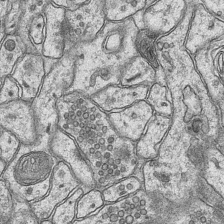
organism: Mouse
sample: CA1 Hippocampus